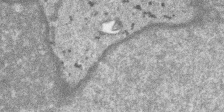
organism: Human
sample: Lung epithelial cells infected with SARS-CoV-2